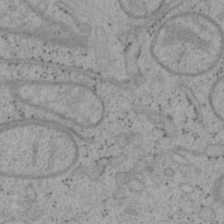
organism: Human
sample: HeLa cells